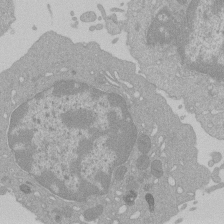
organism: Mouse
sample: Activated Pmel transgenic CD8+ T Cells